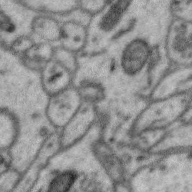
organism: Zebra finch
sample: Brain